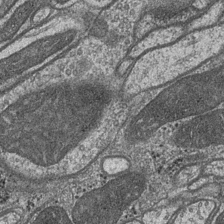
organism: Drosophila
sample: Optic medulla